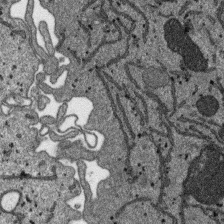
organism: Human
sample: Lung epithelial cells infected with SARS-CoV-2